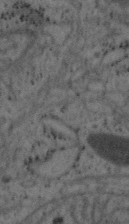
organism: Human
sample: HeLa cells